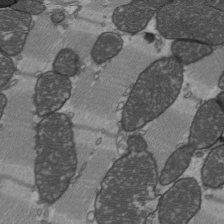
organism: C57BL Mouse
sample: Heart